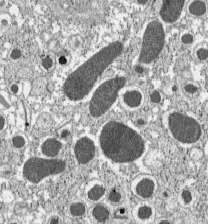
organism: C57BL Mouse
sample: Pancreatic islet